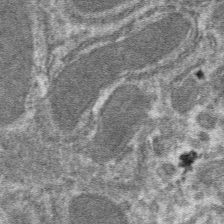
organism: Mouse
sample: Mouse hepatocytes